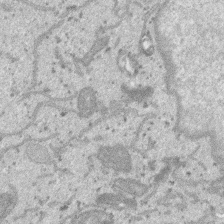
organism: Human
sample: Lung epithelial cells infected with SARS-CoV-2